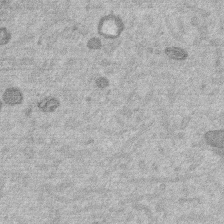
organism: Mouse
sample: Dividing mouse embryo 1 cell stage